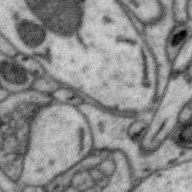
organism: Zebra finch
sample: Brain